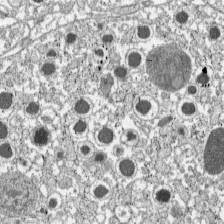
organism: C57BL Mouse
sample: Pancreatic islet